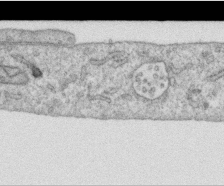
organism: Human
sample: Centriole in RPE cells